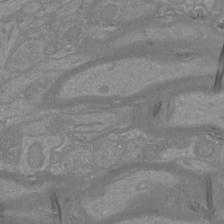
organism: Mouse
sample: Cortical neurons